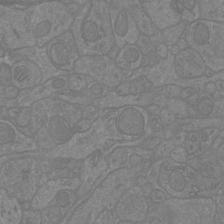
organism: Mouse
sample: Cortical neurons